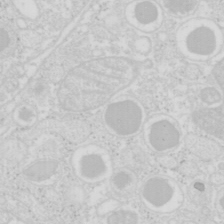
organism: Mouse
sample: Pancreas